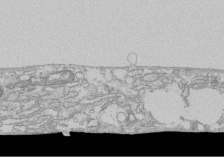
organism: Human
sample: CRL-1474